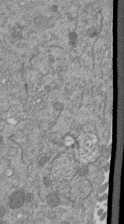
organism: Mouse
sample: ED-1 cell nuclei; centrioles